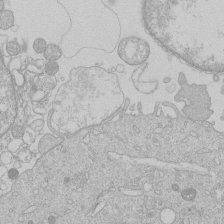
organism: Human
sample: Macrophage cells